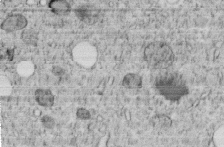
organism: C. elegans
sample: C. elegans embryo early stage